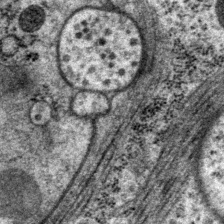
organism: P. pacificus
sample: Pharynx